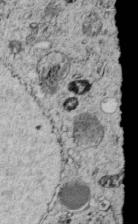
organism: C. elegans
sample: C. elegans embryo early stage